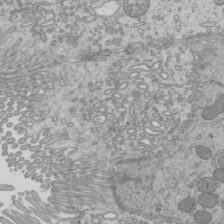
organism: Mouse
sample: Cilia; mouse epididymis